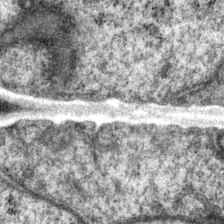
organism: P. pacificus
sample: Pharynx